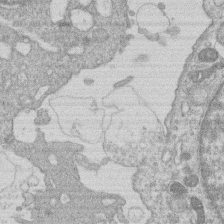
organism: Human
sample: Macrophage cells